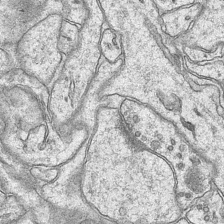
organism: Mouse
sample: CA1 Hippocampus